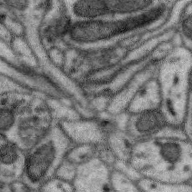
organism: Zebra finch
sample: Brain